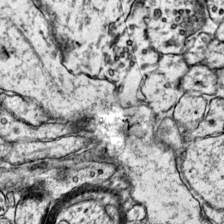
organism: Mouse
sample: Primary visual cortex